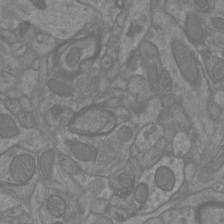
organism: Mouse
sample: Cortical neurons